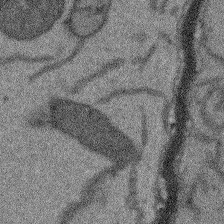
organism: Arabidopsis thaliana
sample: Root tip